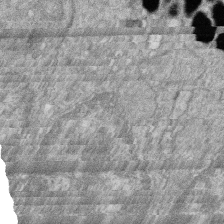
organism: Zebrafish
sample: Cilia; retinal pigment epithelium